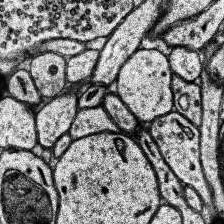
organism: Human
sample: Temporal Lobe